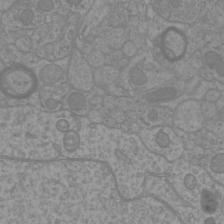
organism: Mouse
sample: Cortical neurons